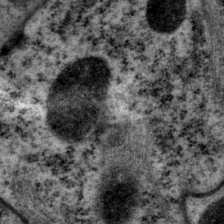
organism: P. pacificus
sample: Pharynx